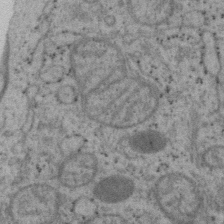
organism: Human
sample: HeLa cells